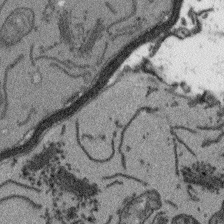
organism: Arabidopsis thaliana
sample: Root tip